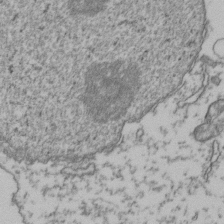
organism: Human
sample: Activated Jurkat CD4+ T cells